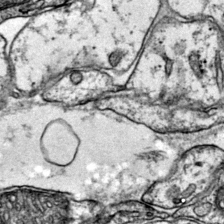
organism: Mouse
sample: Primary visual cortex